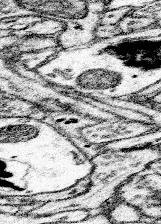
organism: Mouse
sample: Somatosensory cortex neuropil